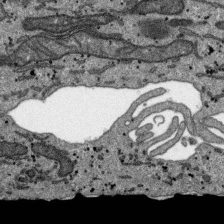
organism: Human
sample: Lung epithelial cells, uninfected (mock) control